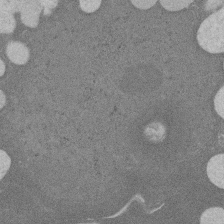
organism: Rat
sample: Salivary granule